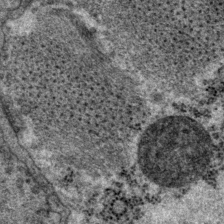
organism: P. pacificus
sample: Pharynx